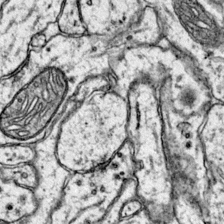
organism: Mouse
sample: Primary visual cortex